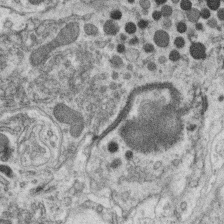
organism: C. elegans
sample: C. elegans oocyte; sperm cells